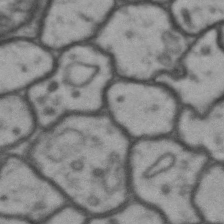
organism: Drosophila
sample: Brain